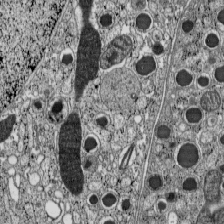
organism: C57BL Mouse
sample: Pancreatic islet